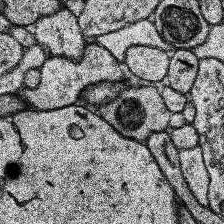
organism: Human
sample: Temporal Lobe